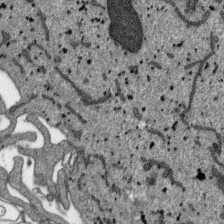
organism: Human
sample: Lung epithelial cells, uninfected (mock) control